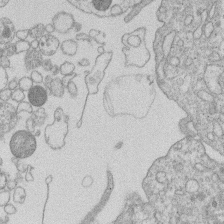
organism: Human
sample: Macrophage cells